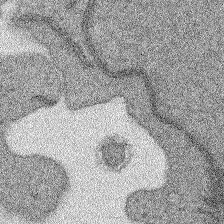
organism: Human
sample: HeLa cells